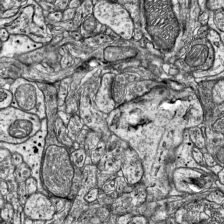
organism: Mouse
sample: Visual Cortex